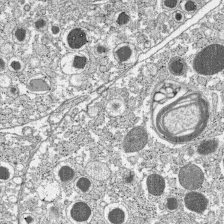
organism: C57BL Mouse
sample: Pancreatic islet